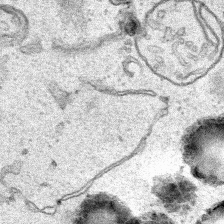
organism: Human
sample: Mitochondria in HCT116 cells